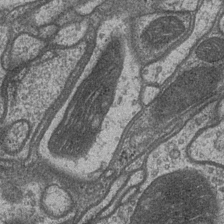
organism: Drosophila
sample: Optic medulla